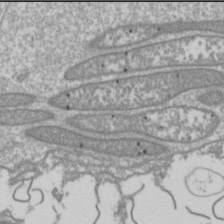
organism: Drosophila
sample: Cell division; meiosis; drosophila spermatocytes